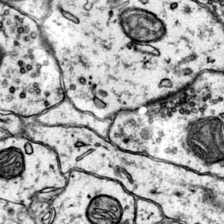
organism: Mouse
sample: Primary visual cortex